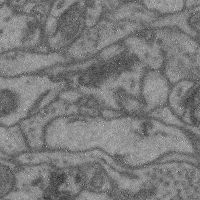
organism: Mouse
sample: Cerebral cortex